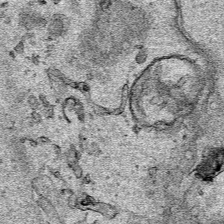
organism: Human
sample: Mitochondria in HCT116 cells